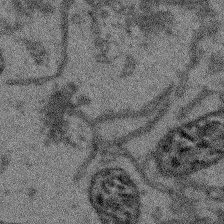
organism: Arabidopsis thaliana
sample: Root tip